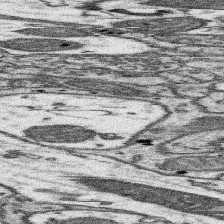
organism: Mouse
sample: Somatosensory cortex neuropil